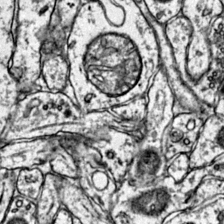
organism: Mouse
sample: Primary visual cortex